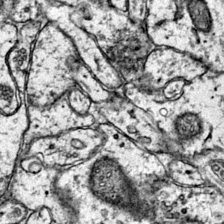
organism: Mouse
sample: Primary visual cortex